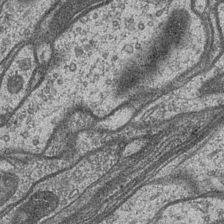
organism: Drosophila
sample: Optic medulla